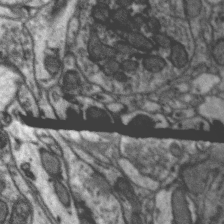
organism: Zebra finch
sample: Brain